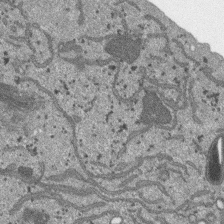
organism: Human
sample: Lung epithelial cells infected with SARS-CoV-2